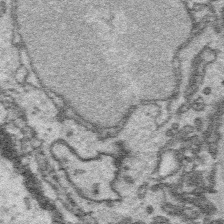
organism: Platynereis dumerilii